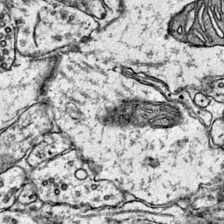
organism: Mouse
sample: Primary visual cortex